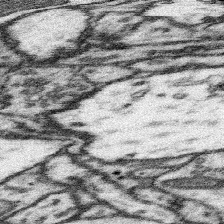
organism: Mouse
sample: Somatosensory cortex neuropil